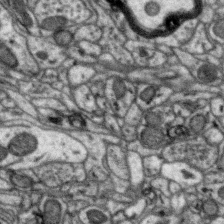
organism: Zebra finch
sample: Brain